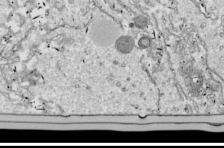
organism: Drosophila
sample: Cell division; meiosis; drosophila spermatocytes